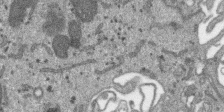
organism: Human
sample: Lung epithelial cells infected with SARS-CoV-2